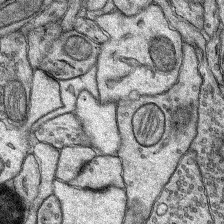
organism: Rat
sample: Hippocampus